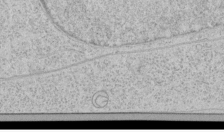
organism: Human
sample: Mitochondria in HCT116 cells